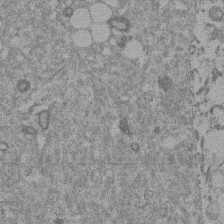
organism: Mouse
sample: Dividing mouse embryo 1 cell stage